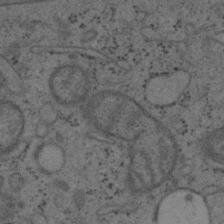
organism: Human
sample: HeLa cells